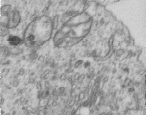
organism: Human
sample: Centriole in RPE cells